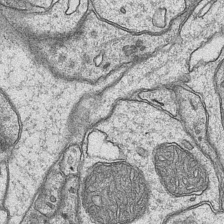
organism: Mouse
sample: CA1 Hippocampus